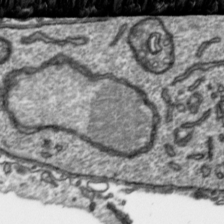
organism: Toxoplasma gondii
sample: Parasites in a vacuole inside a host cell